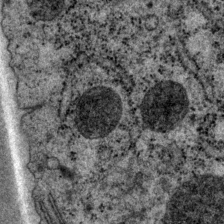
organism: P. pacificus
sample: Pharynx